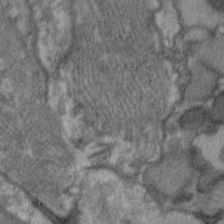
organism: C. elegans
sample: Pharynx